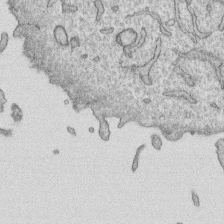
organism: Human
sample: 1205lu cells